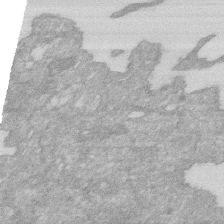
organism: Human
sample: HIV infected U937 cells